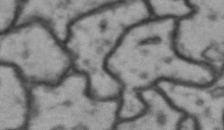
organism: Drosophila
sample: Brain